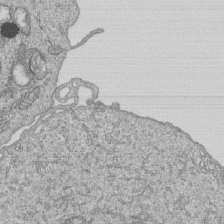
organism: Human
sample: MDA-MB-231 cells